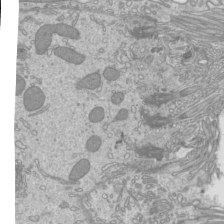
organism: Mouse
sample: Cilia; mouse epididymis